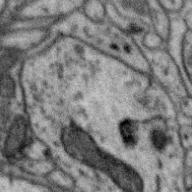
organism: Zebra finch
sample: Brain